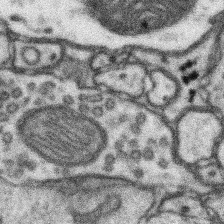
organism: Mouse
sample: Somatosensory cortex neuropil